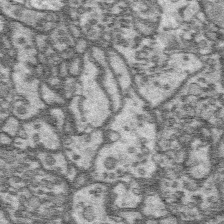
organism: Platynereis dumerilii